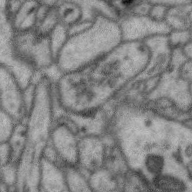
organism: Zebra finch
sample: Brain